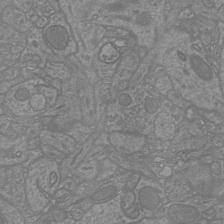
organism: Mouse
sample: Cortical neurons